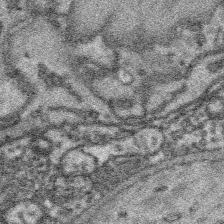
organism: Platynereis dumerilii